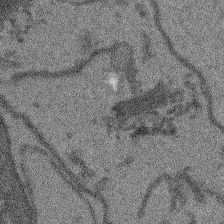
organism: Arabidopsis thaliana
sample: Root tip